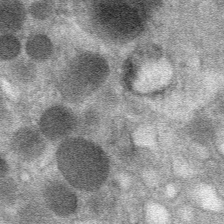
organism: Mouse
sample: Mouse Salivary gland